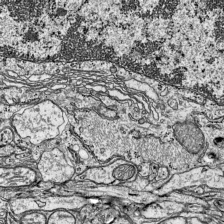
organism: Mouse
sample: Visual Cortex